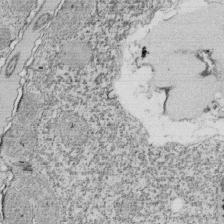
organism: Tetrahymena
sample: Cilia in tetrahymena